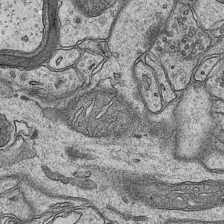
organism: Mouse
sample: CA1 Hippocampus